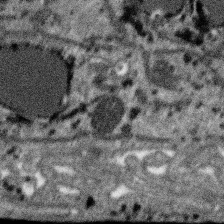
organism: Human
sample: Lung epithelial cells infected with SARS-CoV-2